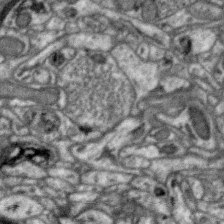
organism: Zebra finch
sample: Brain